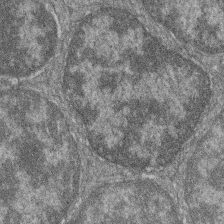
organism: Zebrafish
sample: Cilia; retinal pigment epithelium